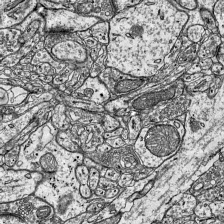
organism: Mouse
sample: Visual Cortex